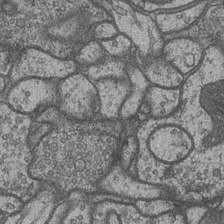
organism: Drosophila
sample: Optic medulla